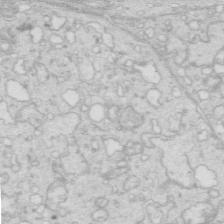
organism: Mouse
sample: Multiciliated cells